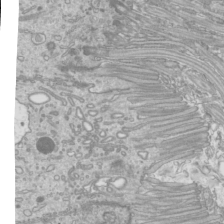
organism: Mouse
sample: Cilia; mouse epididymis